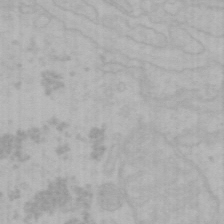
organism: Mouse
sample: Choroid plexus